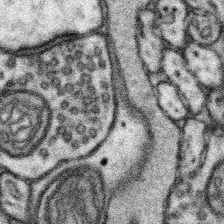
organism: Mouse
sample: Somatosensory cortex neuropil